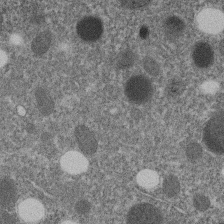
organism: C. elegans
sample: C. elegans embryo early stage